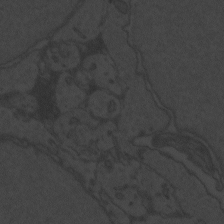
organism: Zebrafish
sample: Macrophage infected with Toxoplasma gondii